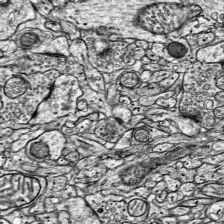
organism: Mouse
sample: Visual Cortex